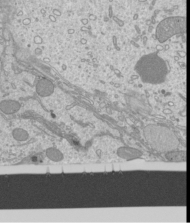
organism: Mouse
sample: Cilia; mouse epididymis